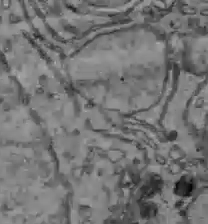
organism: C57BL Mouse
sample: Liver